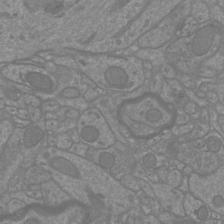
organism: Mouse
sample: Cortical neurons